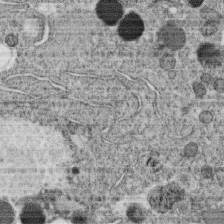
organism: C. elegans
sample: C. elegans oocyte; sperm cells